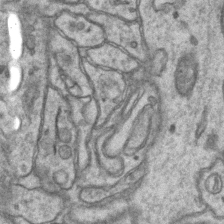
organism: Mouse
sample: CA1 Hippocampus